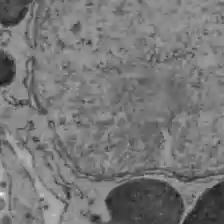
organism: C57BL Mouse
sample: Liver